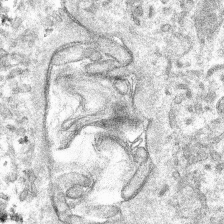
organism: Mouse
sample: Mouse hepatocytes